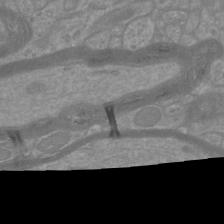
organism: Mouse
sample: Cortical neurons